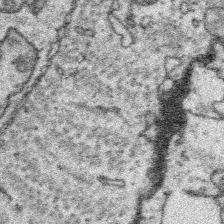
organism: Platynereis dumerilii